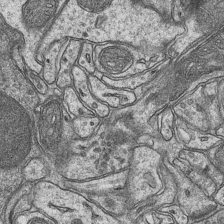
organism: Mouse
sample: CA1 Hippocampus